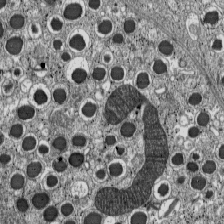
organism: C57BL Mouse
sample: Pancreatic islet